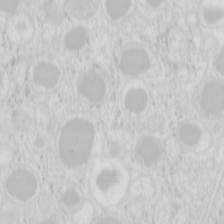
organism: Mouse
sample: Pancreas